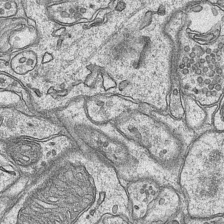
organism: Mouse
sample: CA1 Hippocampus